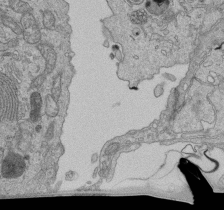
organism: Human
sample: Retinal organoid Rod and Cone cells